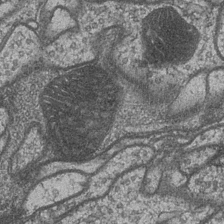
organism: Drosophila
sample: Optic medulla